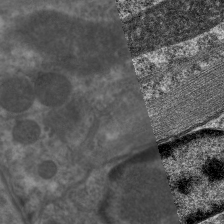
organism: C. elegans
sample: Pharynx